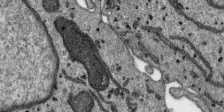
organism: Human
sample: Lung epithelial cells, uninfected (mock) control